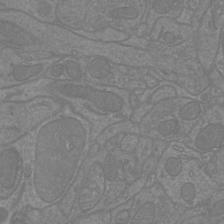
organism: Mouse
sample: Cortical neurons